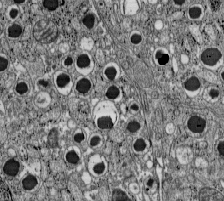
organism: C57BL Mouse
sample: Pancreatic islet